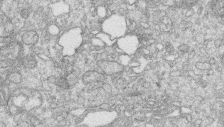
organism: Human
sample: HeLa cell HIV synapse